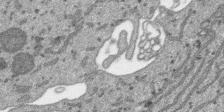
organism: Human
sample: Lung epithelial cells infected with SARS-CoV-2